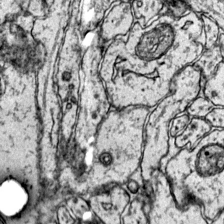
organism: Mouse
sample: Primary visual cortex